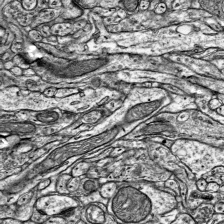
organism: Mouse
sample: Visual Cortex